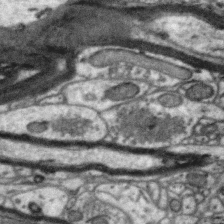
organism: Zebra finch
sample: Brain